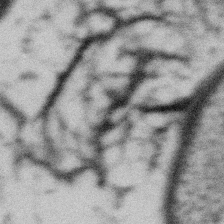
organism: Gemmata obscuriglobus